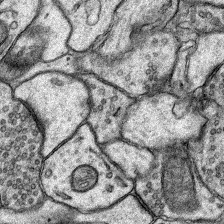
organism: Rat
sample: Hippocampus